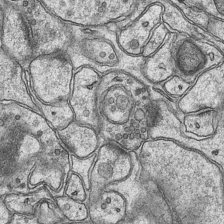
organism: Mouse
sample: CA1 Hippocampus